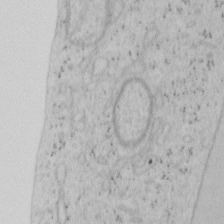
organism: Human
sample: HeLa cells